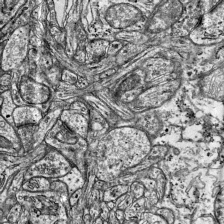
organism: Mouse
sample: Visual Cortex